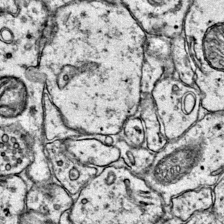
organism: Mouse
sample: Primary visual cortex